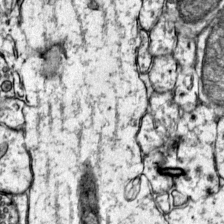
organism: Mouse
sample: Primary visual cortex